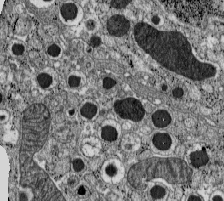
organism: C57BL Mouse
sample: Pancreatic islet